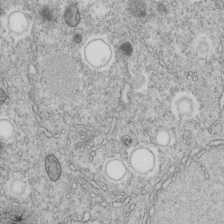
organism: C. elegans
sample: C. elegans embryo early stage